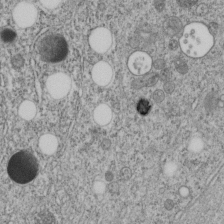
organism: C. elegans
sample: C. elegans embryo early stage